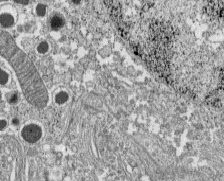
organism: C57BL Mouse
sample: Pancreatic islet